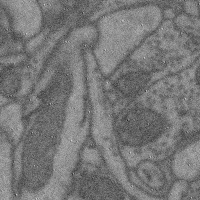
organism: Mouse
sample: Cerebral cortex